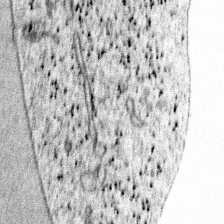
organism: Human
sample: HeLa cells